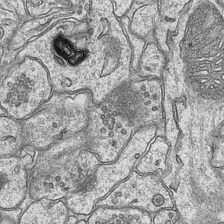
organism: Mouse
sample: CA1 Hippocampus